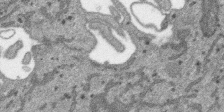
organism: Human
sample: Lung epithelial cells infected with SARS-CoV-2